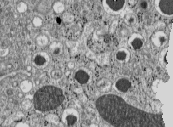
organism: C57BL Mouse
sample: Pancreatic islet